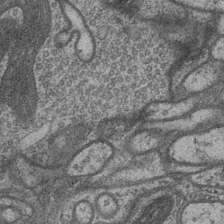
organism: Drosophila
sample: Optic medulla